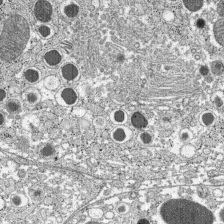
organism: C57BL Mouse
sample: Pancreatic islet